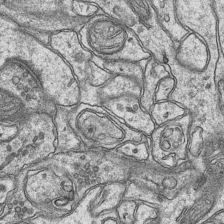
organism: Mouse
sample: CA1 Hippocampus